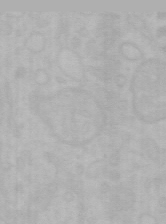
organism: Mouse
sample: Choroid plexus